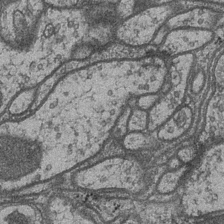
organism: Drosophila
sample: Optic medulla